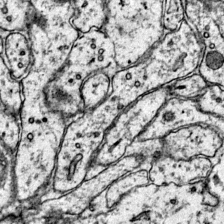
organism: Mouse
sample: Primary visual cortex